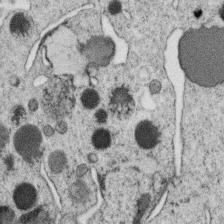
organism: C. elegans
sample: C. elegans oocyte; sperm cells